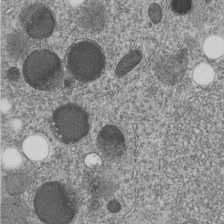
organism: C. elegans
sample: C. elegans embryo early stage